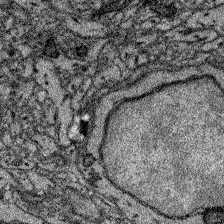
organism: Zebrafish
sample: Larval olfactory bulb